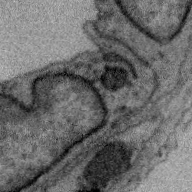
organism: Zebra finch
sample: Brain